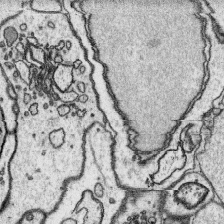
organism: Platynereis dumerilii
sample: Parapodia